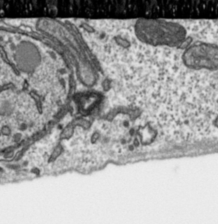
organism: Toxoplasma gondii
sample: Parasites in a vacuole inside a host cell